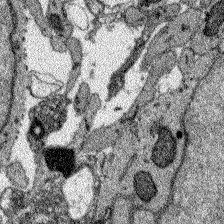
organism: Zebrafish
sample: Larval olfactory bulb